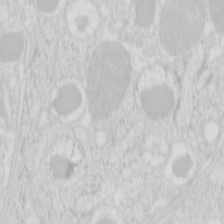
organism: Mouse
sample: Pancreas